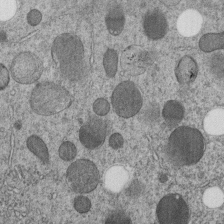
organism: C. elegans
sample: C. elegans embryo early stage